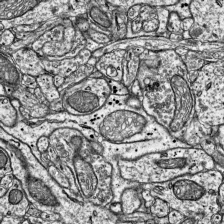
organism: Mouse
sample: Visual Cortex